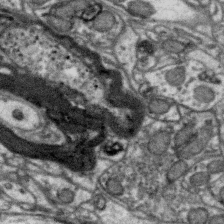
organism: Zebra finch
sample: Brain